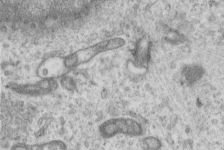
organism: Human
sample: Centriole in RPE cells